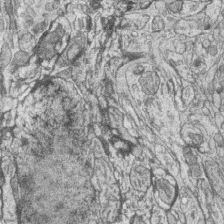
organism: Zebrafish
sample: synaptic ribbons in rod cells and cone cells